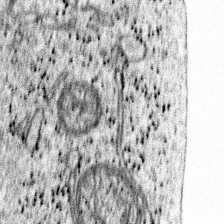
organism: Human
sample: HeLa cells